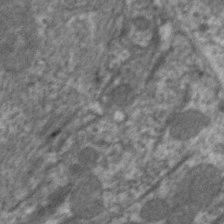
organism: C. elegans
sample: Pharynx